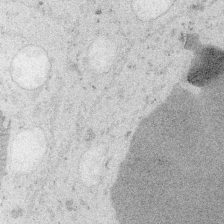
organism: Embia sp.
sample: Silk gland